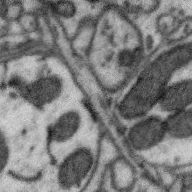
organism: Zebra finch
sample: Brain